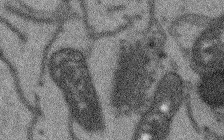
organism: Arabidopsis thaliana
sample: Root tip